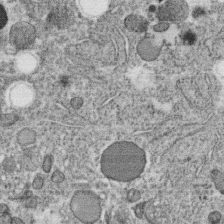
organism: C. elegans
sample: C. elegans oocyte; sperm cells